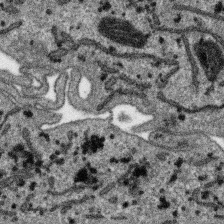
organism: Human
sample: Lung epithelial cells infected with SARS-CoV-2